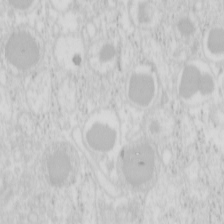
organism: Mouse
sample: Pancreas